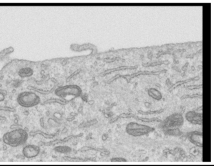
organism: Human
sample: Centriole in RPE cells